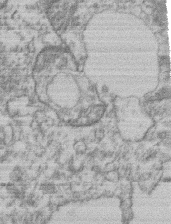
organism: Mouse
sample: T cell stromal cell synapse